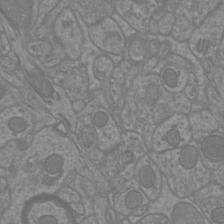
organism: Mouse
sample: Cortical neurons